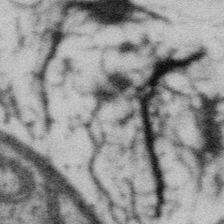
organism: Gemmata obscuriglobus